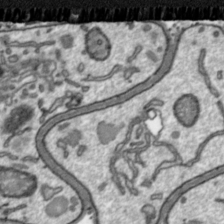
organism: Toxoplasma gondii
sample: Parasites in a vacuole inside a host cell